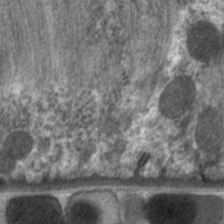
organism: C. elegans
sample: Pharynx